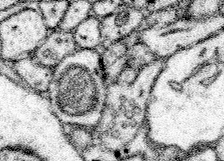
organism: Mouse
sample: Somatosensory cortex neuropil